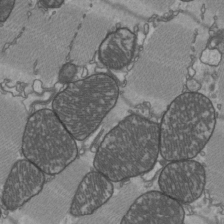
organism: C57BL Mouse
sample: Heart